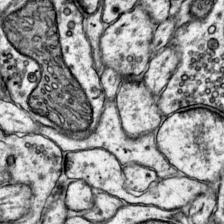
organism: Mouse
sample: Primary visual cortex